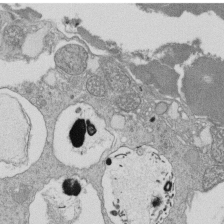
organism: Tetrahymena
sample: Cilia in tetrahymena